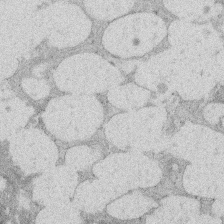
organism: Rat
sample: Salivary granule